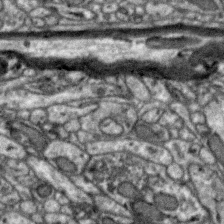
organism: Zebra finch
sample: Brain